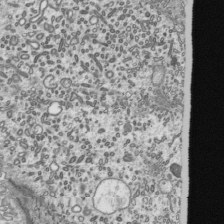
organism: Mouse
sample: Mouse epididymis efferent ductule cilia